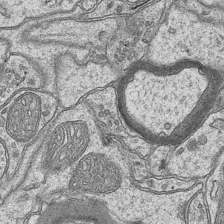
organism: Mouse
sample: CA1 Hippocampus